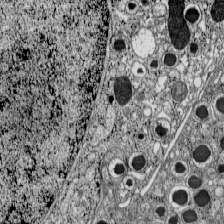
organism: C57BL Mouse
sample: Pancreatic islet